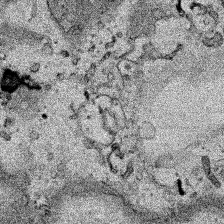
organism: Human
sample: Mitochondria in HCT116 cells